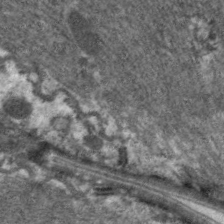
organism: C. elegans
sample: Pharynx